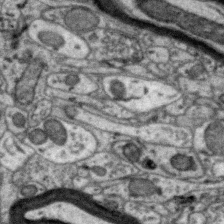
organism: Zebra finch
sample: Brain